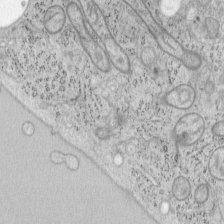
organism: Mouse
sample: OT-I killer T cells with ID8 ovarian cancer cells